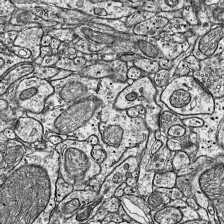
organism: Mouse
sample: Visual Cortex